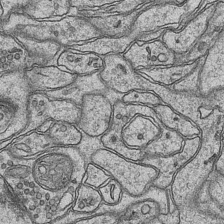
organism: Mouse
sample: CA1 Hippocampus